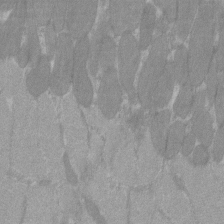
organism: C57BL Mouse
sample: Tibialis anterior muscle cell